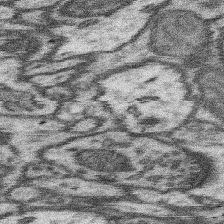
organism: Mouse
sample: Somatosensory cortex neuropil